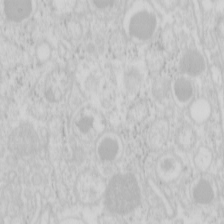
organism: Mouse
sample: Pancreas